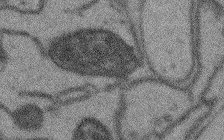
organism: Arabidopsis thaliana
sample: Root tip